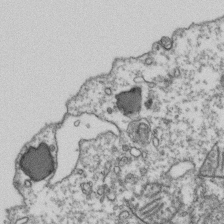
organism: Human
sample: Activated Jurkat CD4+ T cells